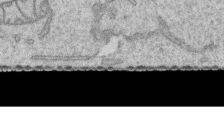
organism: Human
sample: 1205lu cells